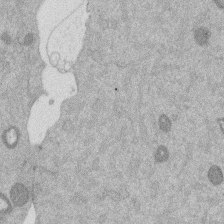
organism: Mouse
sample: Dividing mouse embryo 1 cell stage